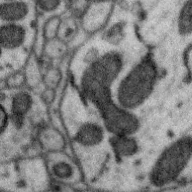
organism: Zebra finch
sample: Brain